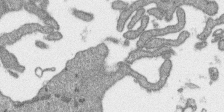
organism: Human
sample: Lung epithelial cells infected with SARS-CoV-2